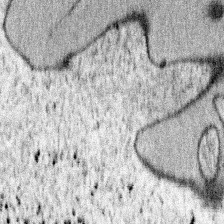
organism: Human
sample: HeLa cells